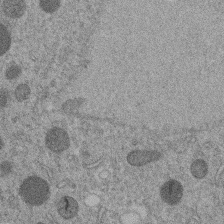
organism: C. elegans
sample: C. elegans embryo early stage